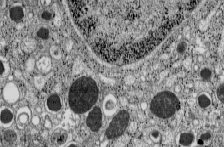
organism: C57BL Mouse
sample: Pancreatic islet